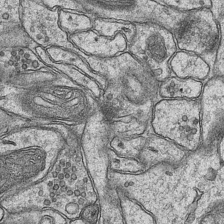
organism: Mouse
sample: CA1 Hippocampus